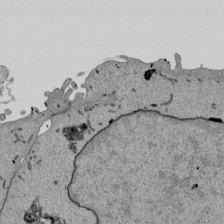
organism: Mouse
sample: ED-1 cell nuclei; centrioles